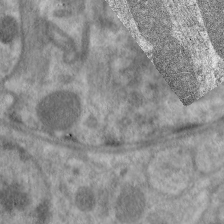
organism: C. elegans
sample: Pharynx